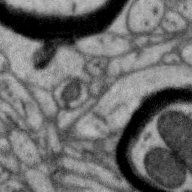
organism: Zebra finch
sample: Brain